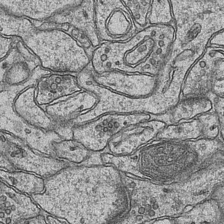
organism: Mouse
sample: CA1 Hippocampus